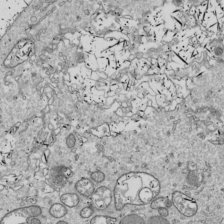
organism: Drosophila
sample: Cell division; meiosis; drosophila spermatocytes